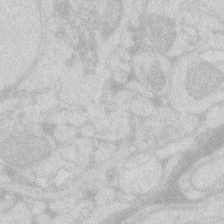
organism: Zebrafish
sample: Macrophage